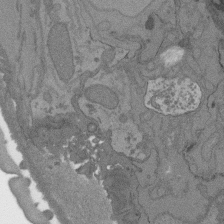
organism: C. elegans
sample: AFD neurons C. elegans